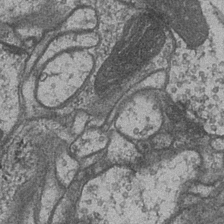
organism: Drosophila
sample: Optic medulla